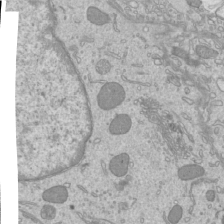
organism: Mouse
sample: Cilia; mouse epididymis